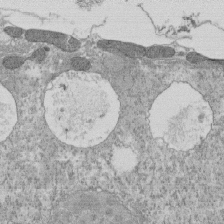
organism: Tetrahymena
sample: Cilia in tetrahymena